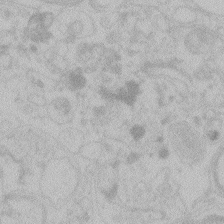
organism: Zebrafish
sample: Macrophage infected with Toxoplasma gondii